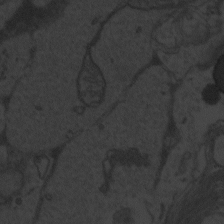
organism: Zebrafish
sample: Macrophage infected with Toxoplasma gondii